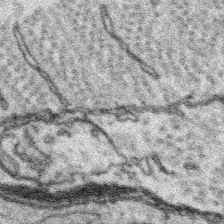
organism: Platynereis dumerilii